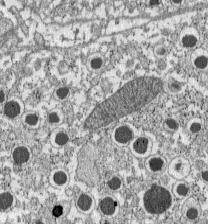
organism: C57BL Mouse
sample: Pancreatic islet